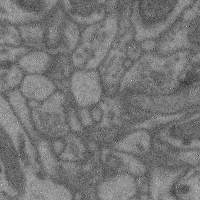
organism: Mouse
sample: Cerebral cortex